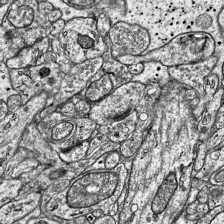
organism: Mouse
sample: Visual Cortex